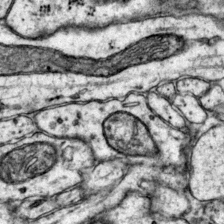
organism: Mouse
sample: Primary visual cortex